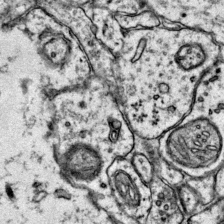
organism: Mouse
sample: Primary visual cortex